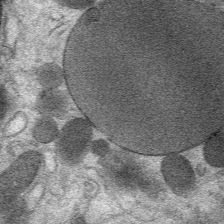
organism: Mouse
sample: Mouse Salivary gland